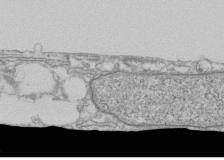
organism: Human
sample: Fibroblast cells